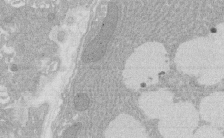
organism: Rat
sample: Salivary granule